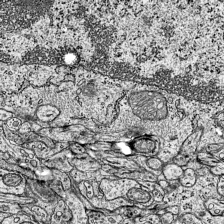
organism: Mouse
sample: Visual Cortex